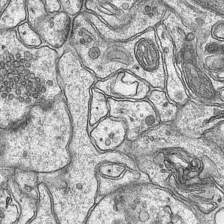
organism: Mouse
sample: CA1 Hippocampus